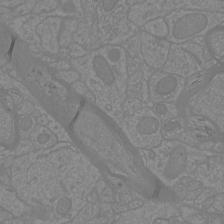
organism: Mouse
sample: Cortical neurons